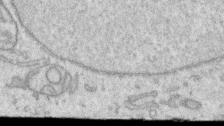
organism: Human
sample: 1205lu cells